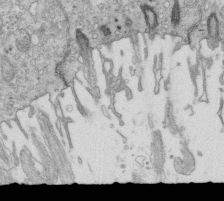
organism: Mouse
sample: Multiciliated cells